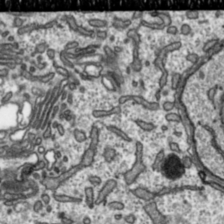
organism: Toxoplasma gondii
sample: Parasites in a vacuole inside a host cell